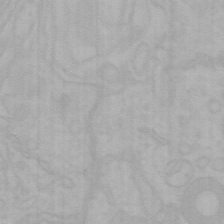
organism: Mouse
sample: Choroid plexus